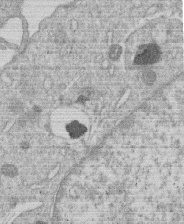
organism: Human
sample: Macrophage cells